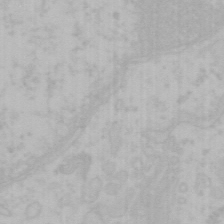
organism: Mouse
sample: Choroid plexus